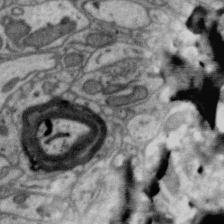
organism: Zebra finch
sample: Brain